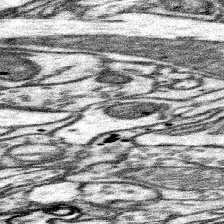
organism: Mouse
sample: Somatosensory cortex neuropil